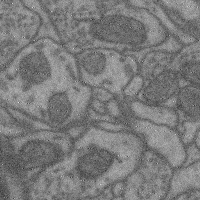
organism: Mouse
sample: Cerebral cortex